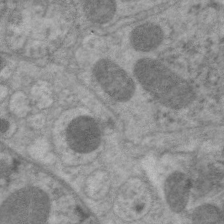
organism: C. elegans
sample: Pharynx